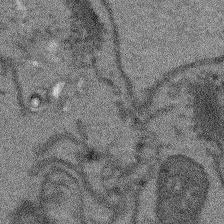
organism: Arabidopsis thaliana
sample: Root tip